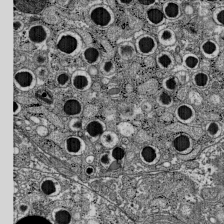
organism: C57BL Mouse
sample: Pancreatic islet